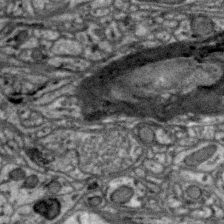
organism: Zebra finch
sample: Brain